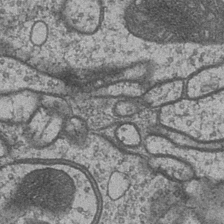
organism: Drosophila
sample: Optic medulla